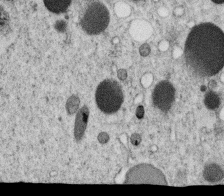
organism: C. elegans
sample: C. elegans oocyte; sperm cells